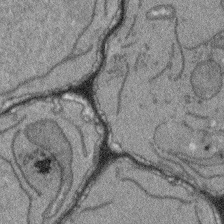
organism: Arabidopsis thaliana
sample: Root tip